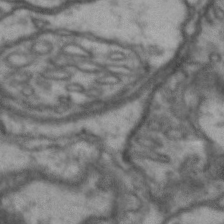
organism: Drosophila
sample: Brain